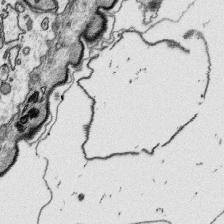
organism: Platynereis dumerilii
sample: Parapodia